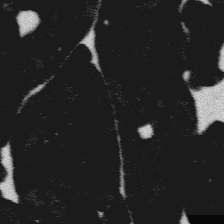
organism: Platynereis dumerilii